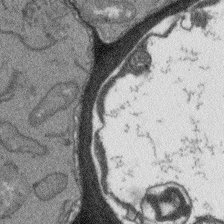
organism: Arabidopsis thaliana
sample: Root tip